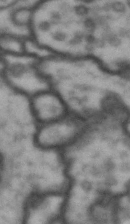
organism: Drosophila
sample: Brain